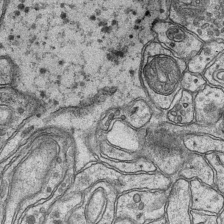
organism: Mouse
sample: CA1 Hippocampus